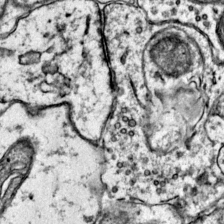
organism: Mouse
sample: Primary visual cortex